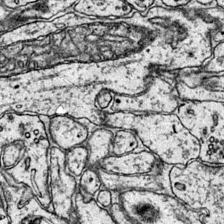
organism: Mouse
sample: Primary visual cortex